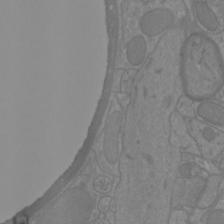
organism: Mouse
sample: Cortical neurons